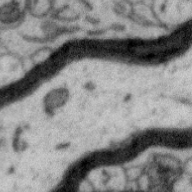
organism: Zebra finch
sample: Brain